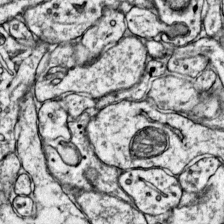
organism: Mouse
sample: Primary visual cortex